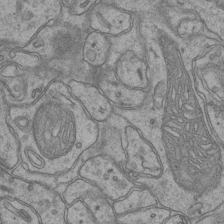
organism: Mouse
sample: CA1 Hippocampus